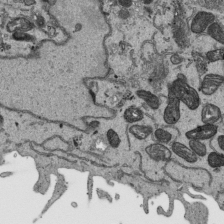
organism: Human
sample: Mitochondria in HCT116 cells